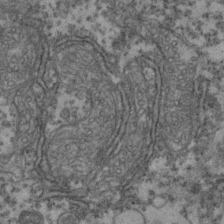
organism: Zebrafish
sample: Zebrafish embryo